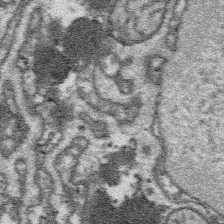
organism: Platynereis dumerilii